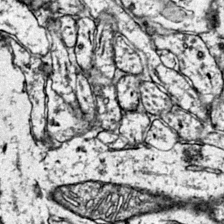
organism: Mouse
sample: Primary visual cortex